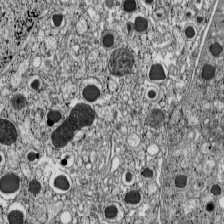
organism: C57BL Mouse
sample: Pancreatic islet